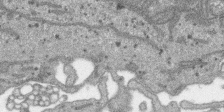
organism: Human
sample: Lung epithelial cells infected with SARS-CoV-2